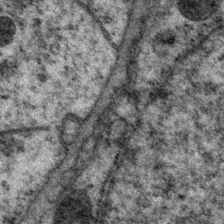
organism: P. pacificus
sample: Pharynx